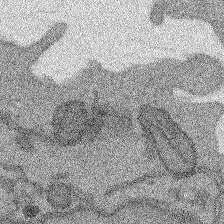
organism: Human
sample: HeLa cells